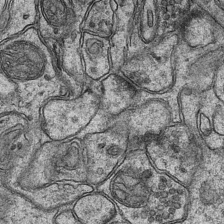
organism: Mouse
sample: CA1 Hippocampus